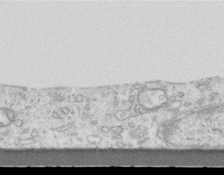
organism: Mouse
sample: Centriole in ependymal cells